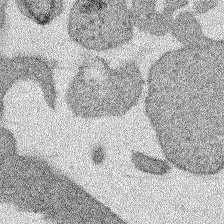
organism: Human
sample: HeLa cells